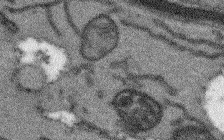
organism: Arabidopsis thaliana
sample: Root tip